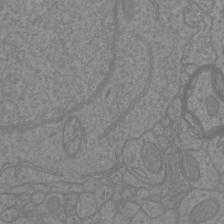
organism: Mouse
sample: Cortical neurons